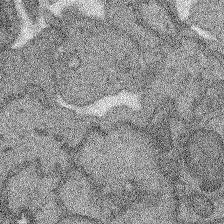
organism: Human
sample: HeLa cells